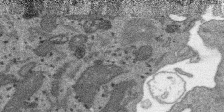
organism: Human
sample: Lung epithelial cells infected with SARS-CoV-2